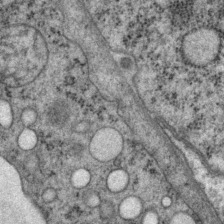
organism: P. pacificus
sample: Pharynx